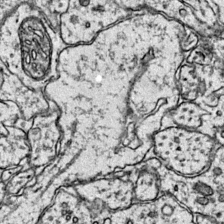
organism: Mouse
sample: Primary visual cortex